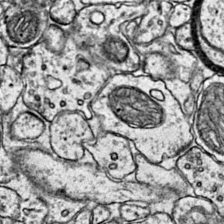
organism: Mouse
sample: Primary visual cortex